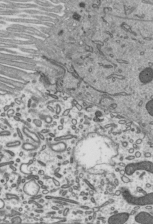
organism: Mouse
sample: Mouse epididymis efferent ductule cilia